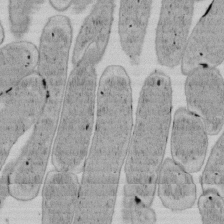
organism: E. coli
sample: Bacterial nucleoid